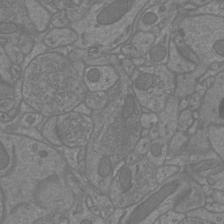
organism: Mouse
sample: Cortical neurons